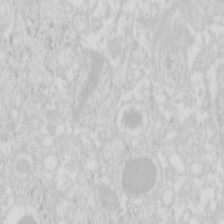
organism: Mouse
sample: Pancreas